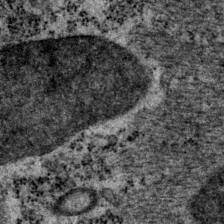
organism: P. pacificus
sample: Pharynx